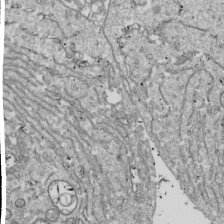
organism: Drosophila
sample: Cell division; meiosis; drosophila spermatocytes